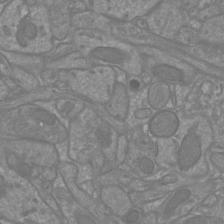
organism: Mouse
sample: Cortical neurons